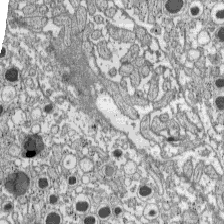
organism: C57BL Mouse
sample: Pancreatic islet